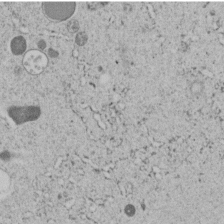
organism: C. elegans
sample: C. elegans embryo early stage